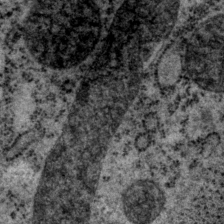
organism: P. pacificus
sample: Pharynx